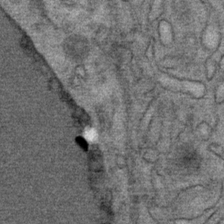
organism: Mouse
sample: Mouse Salivary gland